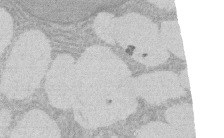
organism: Rat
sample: Salivary granule